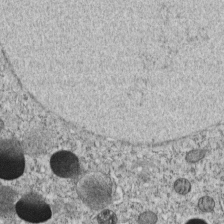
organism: C. elegans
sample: C. elegans embryo early stage